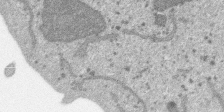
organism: Human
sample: Lung epithelial cells infected with SARS-CoV-2